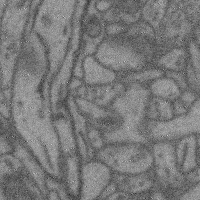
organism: Mouse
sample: Cerebral cortex